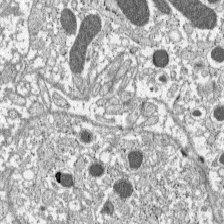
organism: C57BL Mouse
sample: Pancreatic islet